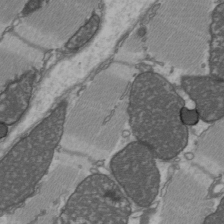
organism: C57BL Mouse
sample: Heart